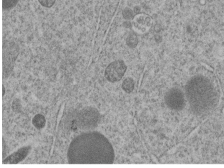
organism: C. elegans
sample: C. elegans embryo early stage